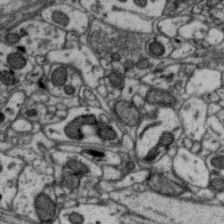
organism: Zebra finch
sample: Brain